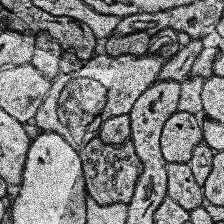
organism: Human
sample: Temporal Lobe